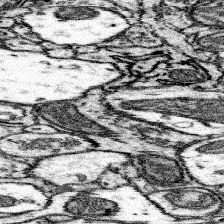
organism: Mouse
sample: Somatosensory cortex neuropil